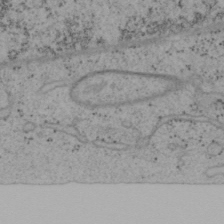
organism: Human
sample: HeLa cells